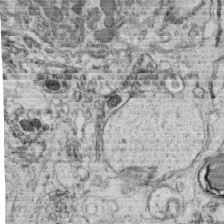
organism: C. elegans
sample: C. elegans oocyte; sperm cells